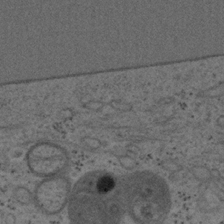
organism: Human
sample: HeLa cells